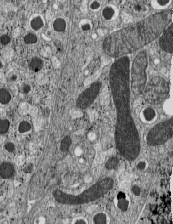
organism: C57BL Mouse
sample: Pancreatic islet